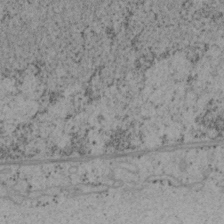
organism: Human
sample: HeLa cells